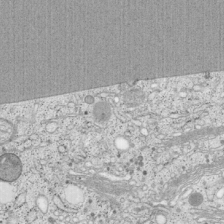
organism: African green monkey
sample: COS-7 cells